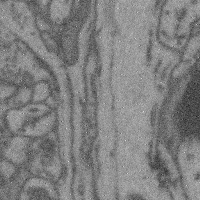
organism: Mouse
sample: Cerebral cortex